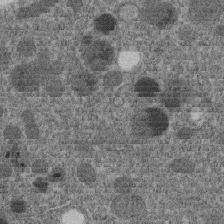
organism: C. elegans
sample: C. elegans embryo early stage